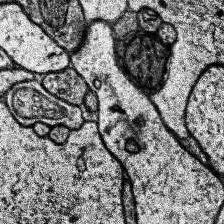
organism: Human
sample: Temporal Lobe